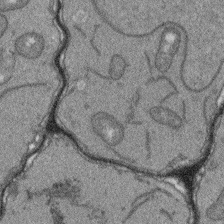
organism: Arabidopsis thaliana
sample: Root tip